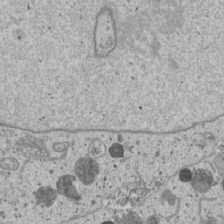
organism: Human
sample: Mitochondria in U2OS cells